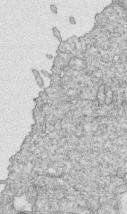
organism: Human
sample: HeLa cell HIV synapse